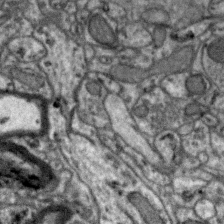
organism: Zebra finch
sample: Brain